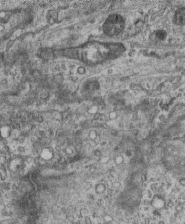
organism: Mouse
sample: Centriole in ependymal cells